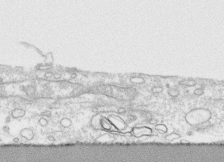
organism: Human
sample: CRL-1474